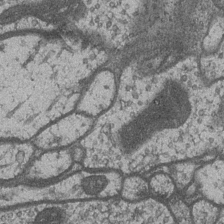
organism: Drosophila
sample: Optic medulla